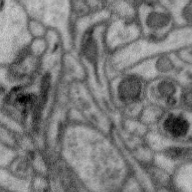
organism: Zebra finch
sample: Brain